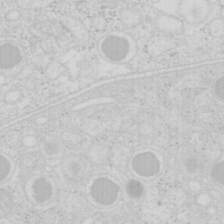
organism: Mouse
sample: Pancreas